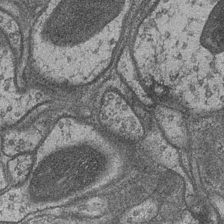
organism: Drosophila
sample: Optic medulla